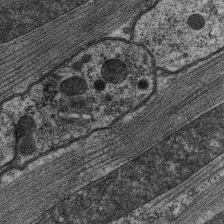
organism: C. elegans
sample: Pharynx